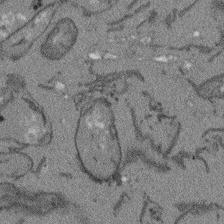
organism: Arabidopsis thaliana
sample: Root tip